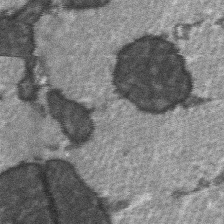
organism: C57BL Mouse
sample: Soleus